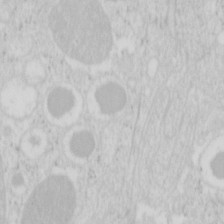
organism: Mouse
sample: Pancreas